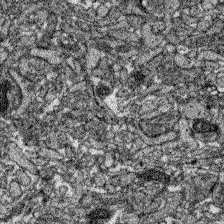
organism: Zebrafish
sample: Larval olfactory bulb